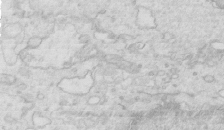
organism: Mouse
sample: Multiciliated cells